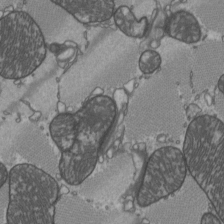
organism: C57BL Mouse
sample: Heart